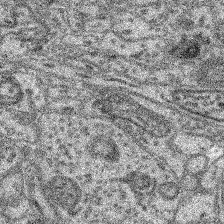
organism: Mouse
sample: Retina